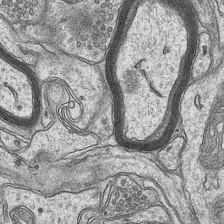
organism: Mouse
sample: CA1 Hippocampus